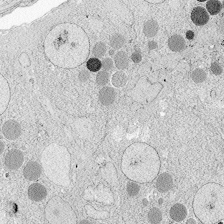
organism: Zebrafish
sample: Whole-Brain